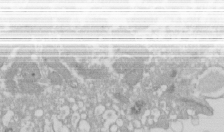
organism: Xenopus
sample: Cilia; centrioles in frog embryo cells